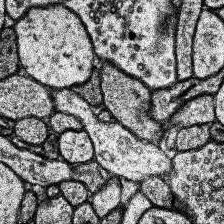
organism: Human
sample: Temporal Lobe